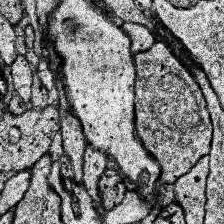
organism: Human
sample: Temporal Lobe